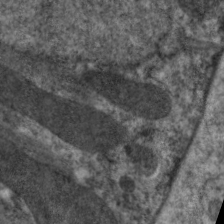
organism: C. elegans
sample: Pharynx